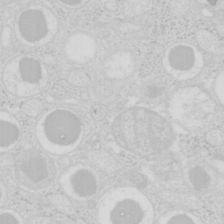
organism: Mouse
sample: Pancreas